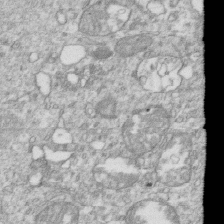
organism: Mouse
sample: Activated OT-1 CD8+ T cells